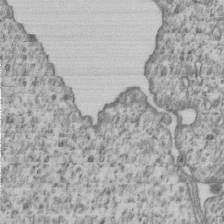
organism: Human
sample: MDA-MB-231 cells